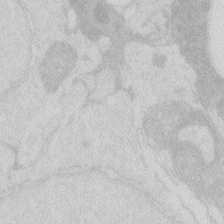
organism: Zebrafish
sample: Macrophage